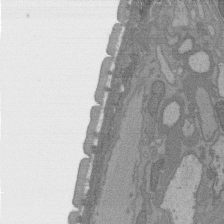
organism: C. elegans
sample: AFD neurons C. elegans